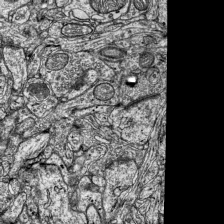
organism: Mouse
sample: Visual Cortex